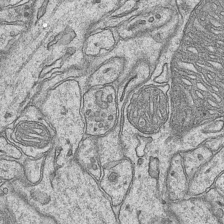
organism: Mouse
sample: CA1 Hippocampus